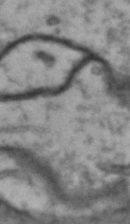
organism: Drosophila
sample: Brain